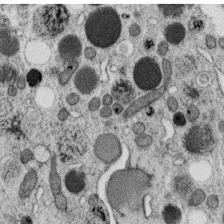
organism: C. elegans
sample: C. elegans oocyte; sperm cells